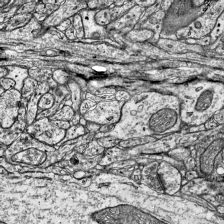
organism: Mouse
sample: Visual Cortex